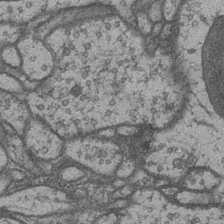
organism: Drosophila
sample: Optic medulla